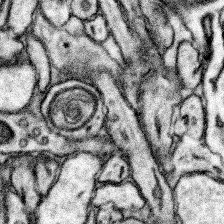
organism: Mouse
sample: Somatosensory cortex neuropil